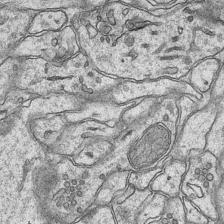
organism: Mouse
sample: CA1 Hippocampus